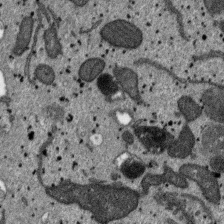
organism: Human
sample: Lung epithelial cells, uninfected (mock) control